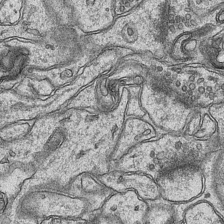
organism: Mouse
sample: CA1 Hippocampus